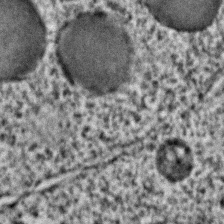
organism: C. elegans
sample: C. elegans embryo